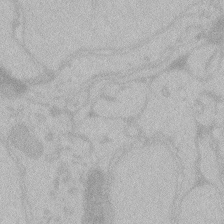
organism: Zebrafish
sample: Macrophage infected with Toxoplasma gondii